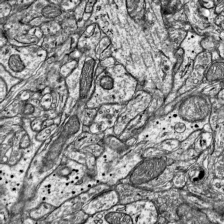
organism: Mouse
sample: Visual Cortex